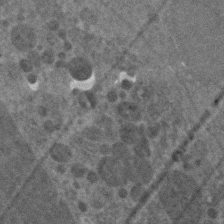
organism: Zebrafish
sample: Zebrafish embryo